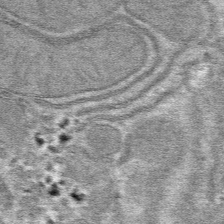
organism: Mouse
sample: Mouse hepatocytes